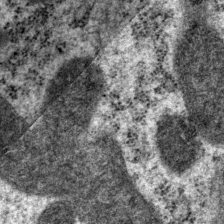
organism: P. pacificus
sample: Pharynx